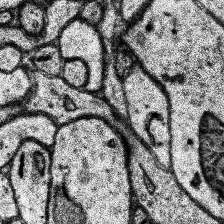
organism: Human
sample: Temporal Lobe